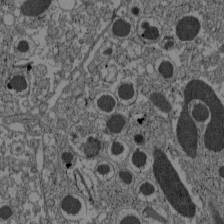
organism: C57BL Mouse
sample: Pancreatic islet